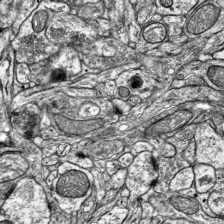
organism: Mouse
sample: Visual Cortex